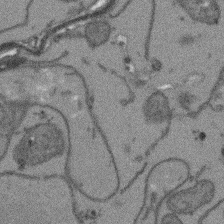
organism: Arabidopsis thaliana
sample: Root tip